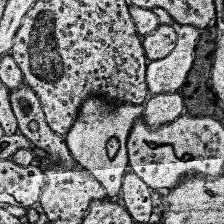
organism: Human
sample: Temporal Lobe